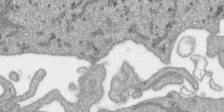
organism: Human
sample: Lung epithelial cells infected with SARS-CoV-2